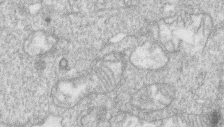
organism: Human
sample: HeLa cell HIV synapse